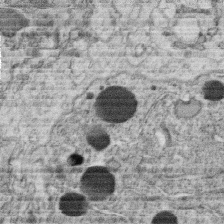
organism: C. elegans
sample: C. elegans oocyte; sperm cells